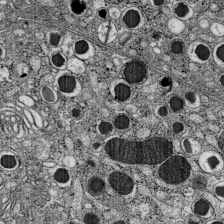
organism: C57BL Mouse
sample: Pancreatic islet